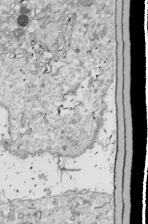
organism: Drosophila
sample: Cell division; meiosis; drosophila spermatocytes